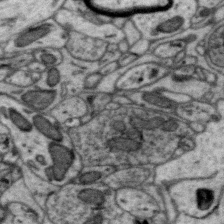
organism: Zebra finch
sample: Brain